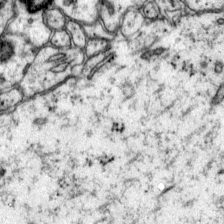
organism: Mouse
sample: Primary visual cortex